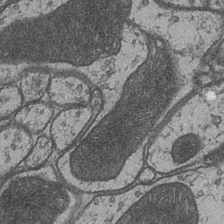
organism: Drosophila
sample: Optic medulla